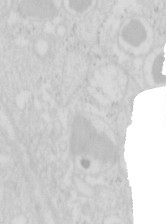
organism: Mouse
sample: Pancreas